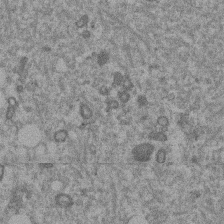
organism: Mouse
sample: Dividing mouse embryo 1 cell stage